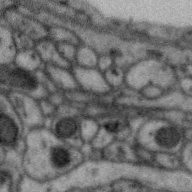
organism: Zebra finch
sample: Brain